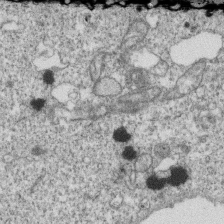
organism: Human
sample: HeLa cell HIV synapse